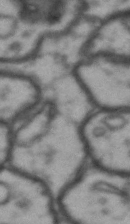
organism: Drosophila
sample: Brain